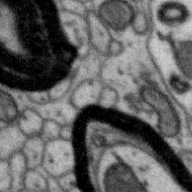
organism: Zebra finch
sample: Brain